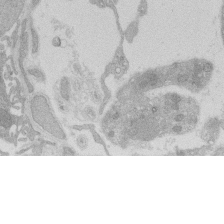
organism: Rat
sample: Salivary granule